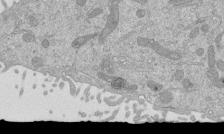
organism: Mouse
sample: ED-1 cell nuclei; centrioles